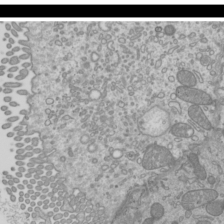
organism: Mouse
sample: Cilia; mouse epididymis